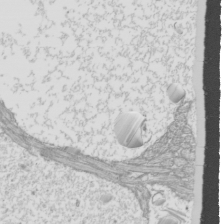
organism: Mouse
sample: Cilia; mouse epididymis